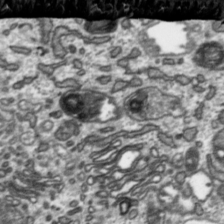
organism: Toxoplasma gondii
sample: Parasites in a vacuole inside a host cell